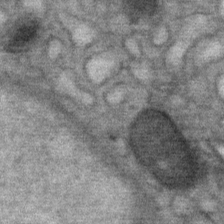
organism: Mouse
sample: Mouse Salivary gland